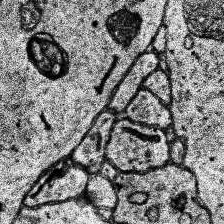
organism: Human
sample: Temporal Lobe